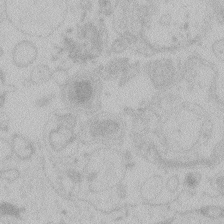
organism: Zebrafish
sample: Macrophage infected with Toxoplasma gondii